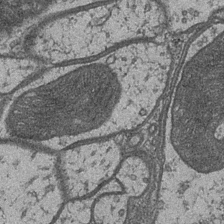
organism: Drosophila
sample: Optic medulla